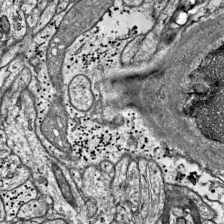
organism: Mouse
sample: Visual Cortex